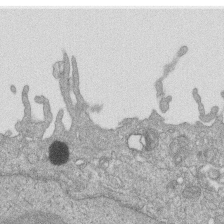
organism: Human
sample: HeLa cell HIV synapse